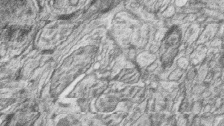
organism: Zebrafish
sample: synaptic ribbons in rod cells and cone cells